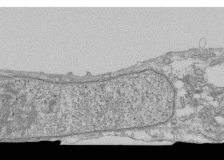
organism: Human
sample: Fibroblast cells